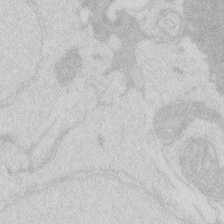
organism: Zebrafish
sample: Macrophage